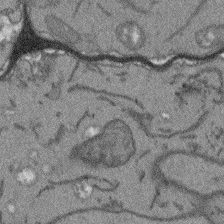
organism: Arabidopsis thaliana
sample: Root tip